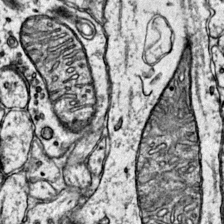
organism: Mouse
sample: Primary visual cortex